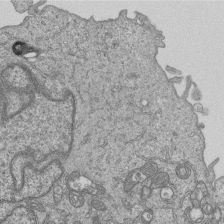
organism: Human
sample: MDA-MB-231 cells